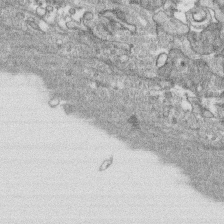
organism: Human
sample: CRL-1474